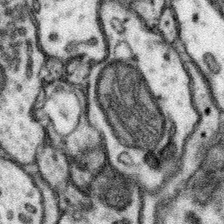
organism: Mouse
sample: Somatosensory cortex neuropil